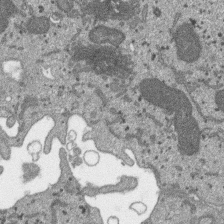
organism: Human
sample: Lung epithelial cells infected with SARS-CoV-2